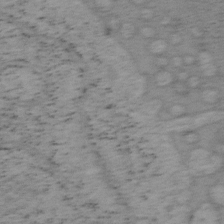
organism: Mouse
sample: OT-I killer T cells with ID8 ovarian cancer cells